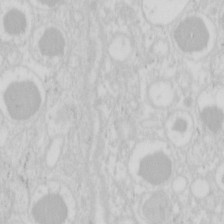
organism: Mouse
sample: Pancreas